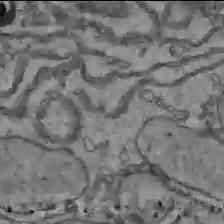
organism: C57BL Mouse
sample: Liver